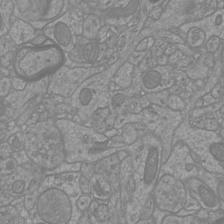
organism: Mouse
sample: Cortical neurons